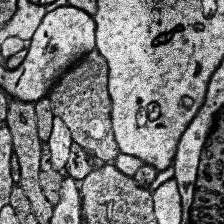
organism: Human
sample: Temporal Lobe